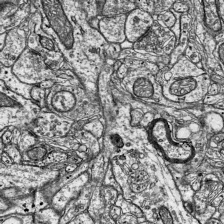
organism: Mouse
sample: Visual Cortex